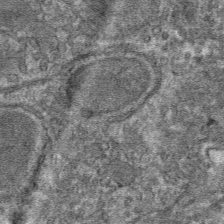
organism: Mouse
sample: Mouse hepatocytes